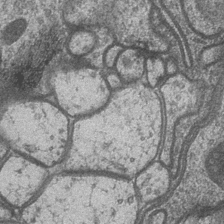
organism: Drosophila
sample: Optic medulla